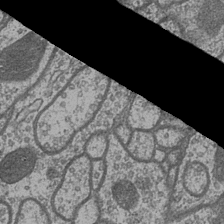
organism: Drosophila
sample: Optic medulla